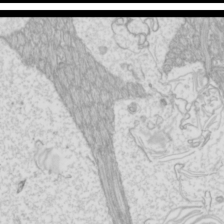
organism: Mouse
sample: Cilia; mouse epididymis